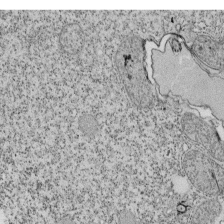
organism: Tetrahymena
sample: Cilia in tetrahymena